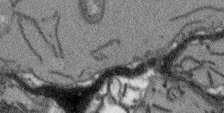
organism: Arabidopsis thaliana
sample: Root tip